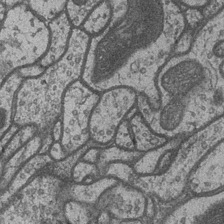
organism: Drosophila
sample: Optic medulla